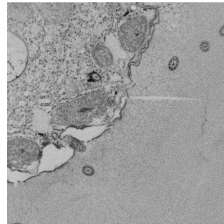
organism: Tetrahymena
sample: Cilia in tetrahymena